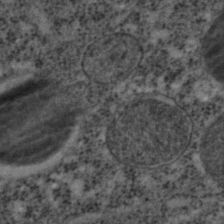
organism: C. elegans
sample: C. elegans embryo